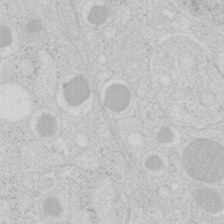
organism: Mouse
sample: Pancreas